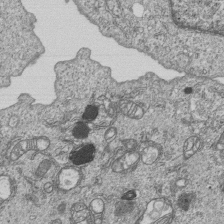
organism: Human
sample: MDA-MB-231 cells